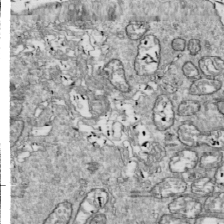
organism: Drosophila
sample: Cell division; meiosis; drosophila spermatocytes